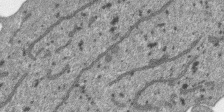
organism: Human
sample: Lung epithelial cells infected with SARS-CoV-2